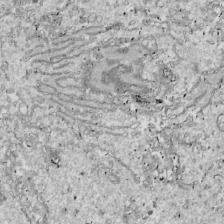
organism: Drosophila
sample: Cell division; meiosis; drosophila spermatocytes